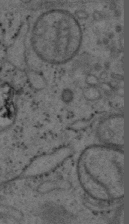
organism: Human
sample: HeLa cells